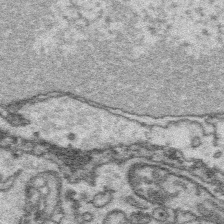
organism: Platynereis dumerilii